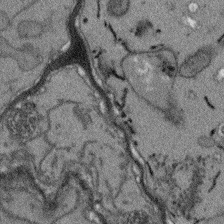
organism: Arabidopsis thaliana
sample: Root tip